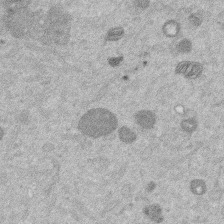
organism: Mouse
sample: Dividing mouse embryo 1 cell stage